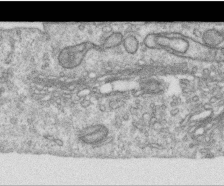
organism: Human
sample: Centriole in RPE cells